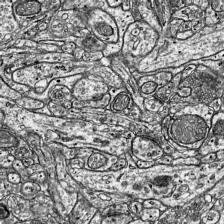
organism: Mouse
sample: Visual Cortex